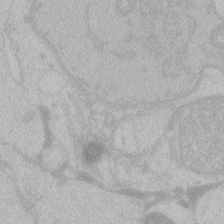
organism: Zebrafish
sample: Macrophage infected with Toxoplasma gondii